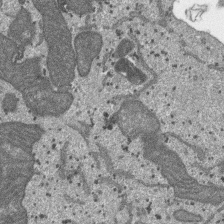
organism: Human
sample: Lung epithelial cells infected with SARS-CoV-2